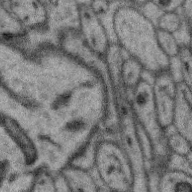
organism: Zebra finch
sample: Brain